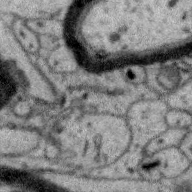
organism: Zebra finch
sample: Brain